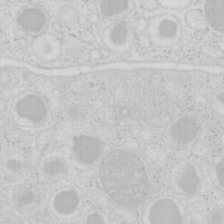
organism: Mouse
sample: Pancreas